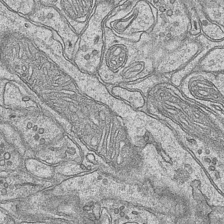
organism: Mouse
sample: CA1 Hippocampus